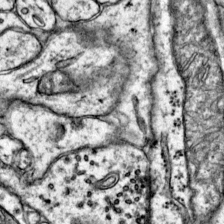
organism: Mouse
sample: Primary visual cortex